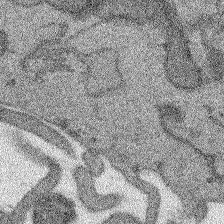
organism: Human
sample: HeLa cells